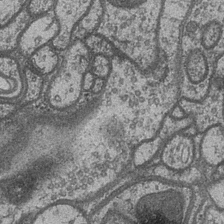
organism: Drosophila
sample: Optic medulla